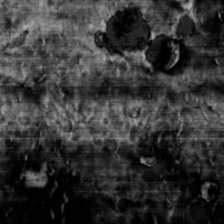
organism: Toxoplasma gondii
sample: Parasites in a vacuole inside a host cell